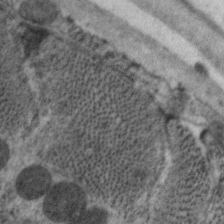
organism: C. elegans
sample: Pharynx